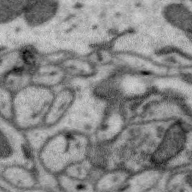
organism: Zebra finch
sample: Brain